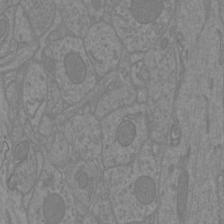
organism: Mouse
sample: Cortical neurons